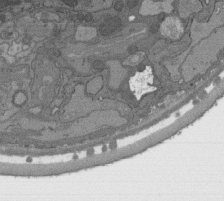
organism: C. elegans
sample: AFD neurons C. elegans